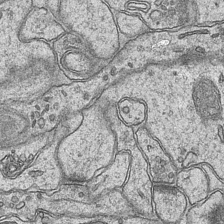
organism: Mouse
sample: CA1 Hippocampus